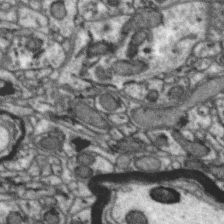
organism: Zebra finch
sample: Brain